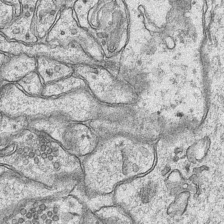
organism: Mouse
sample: CA1 Hippocampus